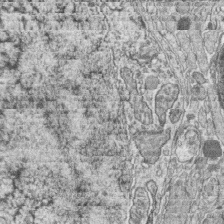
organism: Zebrafish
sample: synaptic ribbons in rod cells and cone cells